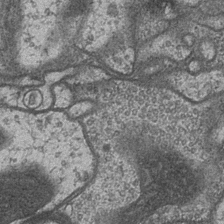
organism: Drosophila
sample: Optic medulla